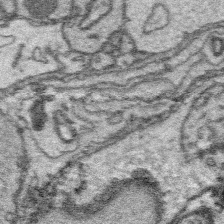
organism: Platynereis dumerilii